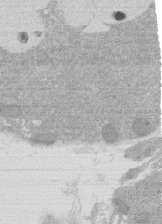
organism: Rat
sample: Salivary granule